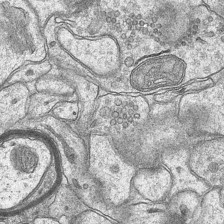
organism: Mouse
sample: CA1 Hippocampus